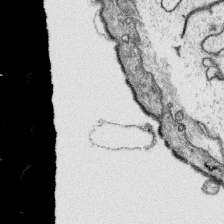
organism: Platynereis dumerilii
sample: Parapodia